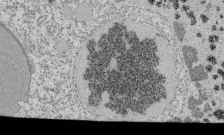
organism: Tetrahymena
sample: Cilia in tetrahymena